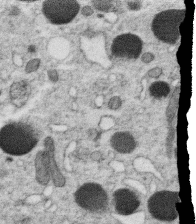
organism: C. elegans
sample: C. elegans oocyte; sperm cells